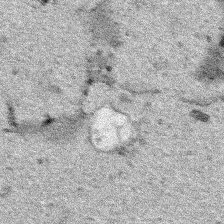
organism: Human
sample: Mitochondria in HCT116 cells